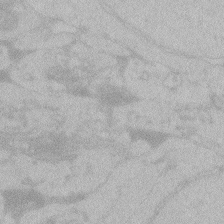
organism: Zebrafish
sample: Macrophage infected with Toxoplasma gondii